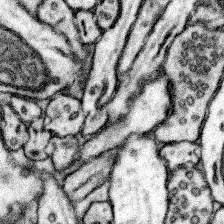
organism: Mouse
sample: Somatosensory cortex neuropil